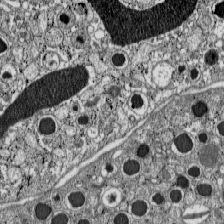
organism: C57BL Mouse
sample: Pancreatic islet